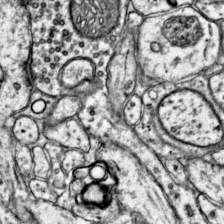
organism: Mouse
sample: Primary visual cortex